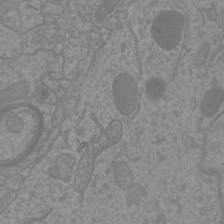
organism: Mouse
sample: Cortical neurons